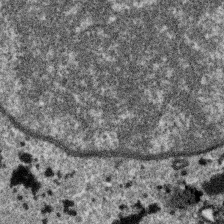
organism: Human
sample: Lung epithelial cells infected with SARS-CoV-2